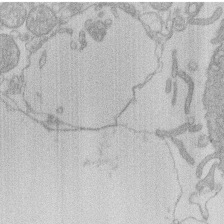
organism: Human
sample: Macrophage cells